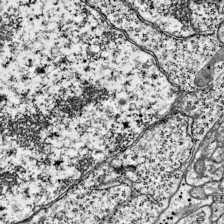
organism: Mouse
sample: Visual Cortex